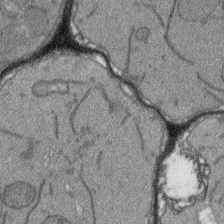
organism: Arabidopsis thaliana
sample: Root tip